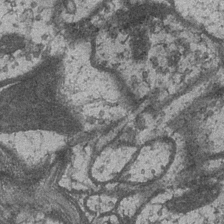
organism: Drosophila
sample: Optic medulla